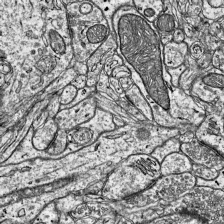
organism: Mouse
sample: Visual Cortex